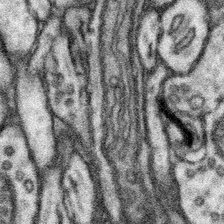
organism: Mouse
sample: Somatosensory cortex neuropil